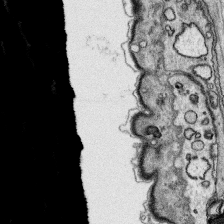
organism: Platynereis dumerilii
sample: Parapodia